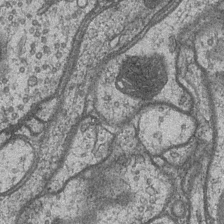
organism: Drosophila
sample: Optic medulla